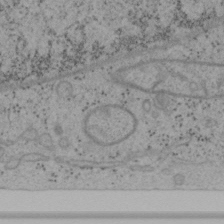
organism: Human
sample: HeLa cells